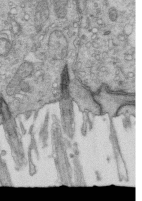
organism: Mouse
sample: Multiciliated cells